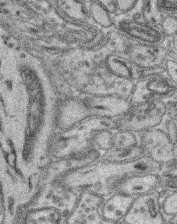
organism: Mouse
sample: Retina